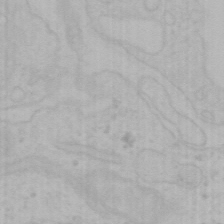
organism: Mouse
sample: Choroid plexus